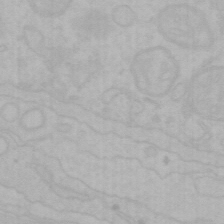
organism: Mouse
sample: Choroid plexus